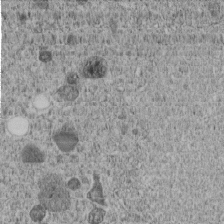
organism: C. elegans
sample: C. elegans embryo early stage